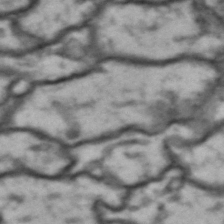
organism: Drosophila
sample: Brain